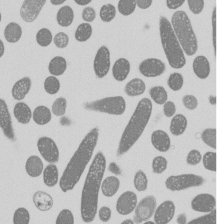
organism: E. coli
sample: Bacterial nucleoid